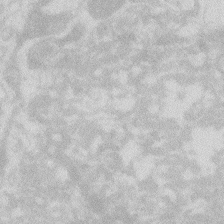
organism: Zebrafish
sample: Macrophage